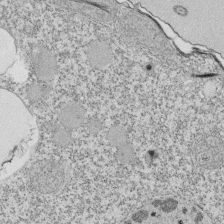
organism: Tetrahymena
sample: Cilia in tetrahymena